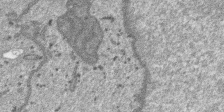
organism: Human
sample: Lung epithelial cells infected with SARS-CoV-2